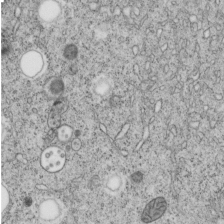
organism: C. elegans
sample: C. elegans embryo early stage